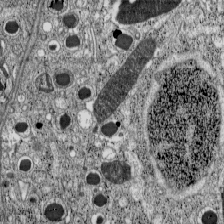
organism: C57BL Mouse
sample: Pancreatic islet